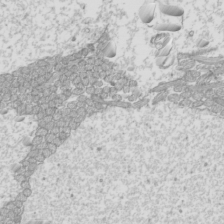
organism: Mouse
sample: Cilia; mouse epididymis